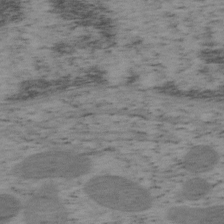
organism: Mouse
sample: OT-I killer T cells with ID8 ovarian cancer cells